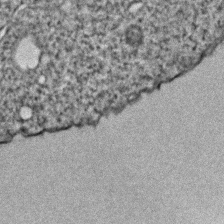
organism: C. elegans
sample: C. elegans embryo